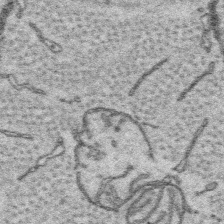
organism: Platynereis dumerilii